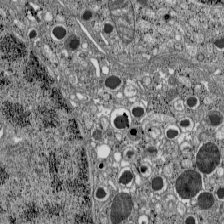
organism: C57BL Mouse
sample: Pancreatic islet